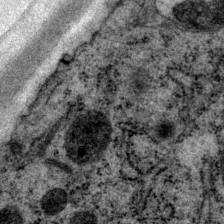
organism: P. pacificus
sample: Pharynx